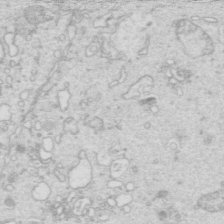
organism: Mouse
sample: Multiciliated cells